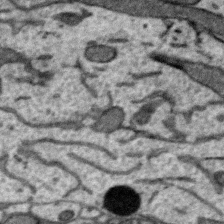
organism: Zebra finch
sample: Brain